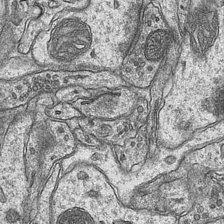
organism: Mouse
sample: CA1 Hippocampus